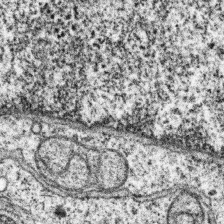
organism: Human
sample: HeLa cells